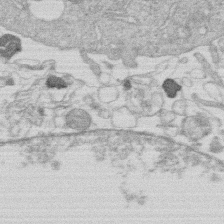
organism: Human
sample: Macrophage cells